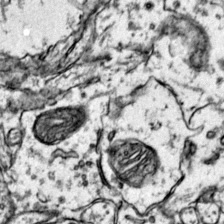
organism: Mouse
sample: Primary visual cortex